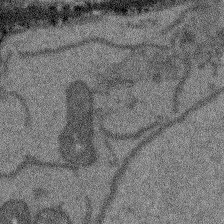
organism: Arabidopsis thaliana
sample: Root tip